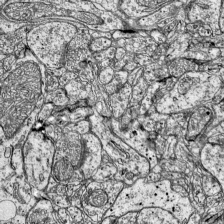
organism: Mouse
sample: Visual Cortex